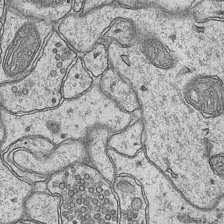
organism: Mouse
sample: CA1 Hippocampus